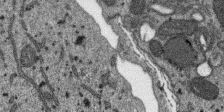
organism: Human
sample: Lung epithelial cells infected with SARS-CoV-2